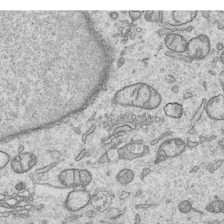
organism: Human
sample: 1205lu cells